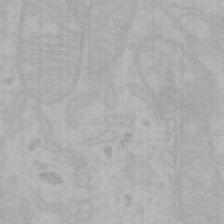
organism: Mouse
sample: Choroid plexus